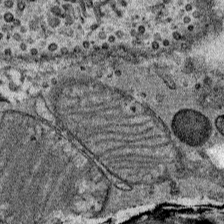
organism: Mouse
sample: Mouse Salivary gland